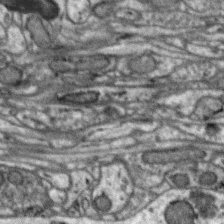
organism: Zebra finch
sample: Brain